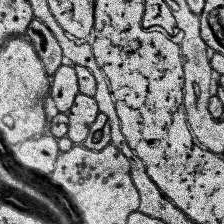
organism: Human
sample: Temporal Lobe